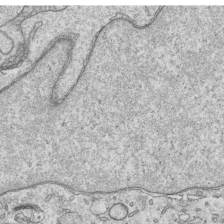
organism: Human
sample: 1205lu cells